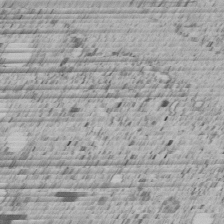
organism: C. elegans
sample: C. elegans embryo early stage